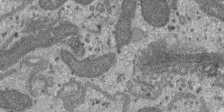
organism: Human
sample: Lung epithelial cells infected with SARS-CoV-2